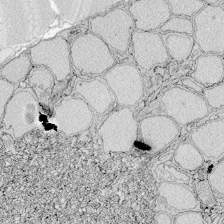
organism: Zebrafish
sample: Whole-Brain